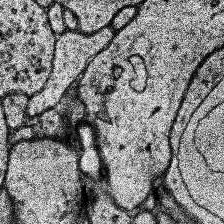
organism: Human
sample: Temporal Lobe